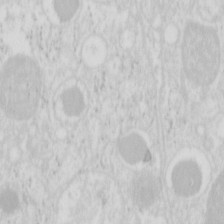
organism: Mouse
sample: Pancreas